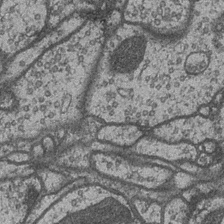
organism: Drosophila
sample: Optic medulla